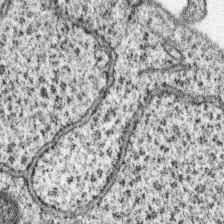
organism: Human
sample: HeLa cells